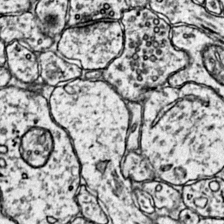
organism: Mouse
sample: Primary visual cortex